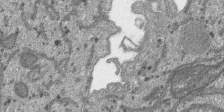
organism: Human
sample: Lung epithelial cells infected with SARS-CoV-2